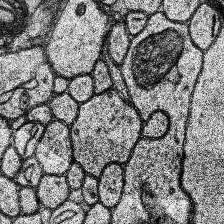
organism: Human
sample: Temporal Lobe